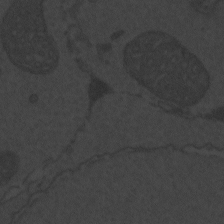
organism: Zebrafish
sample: Macrophage infected with Toxoplasma gondii